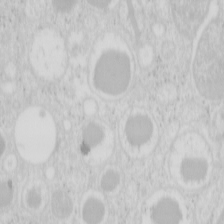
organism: Mouse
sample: Pancreas